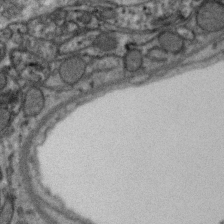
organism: Zebra finch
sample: Brain